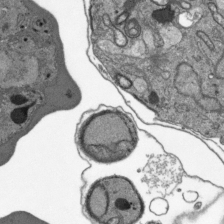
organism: Plasmodium falciparum